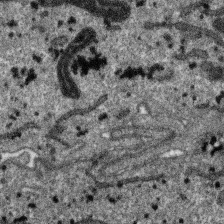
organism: Human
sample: Lung epithelial cells infected with SARS-CoV-2